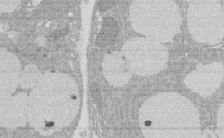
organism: Rat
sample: Salivary granule